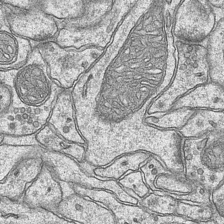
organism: Mouse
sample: CA1 Hippocampus